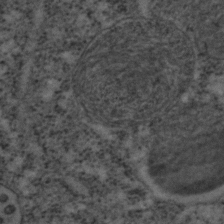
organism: C. elegans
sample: C. elegans embryo